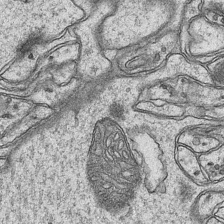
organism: Mouse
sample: CA1 Hippocampus